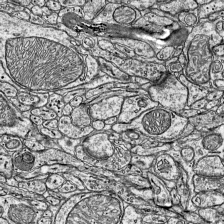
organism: Mouse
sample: Visual Cortex